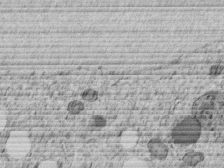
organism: C. elegans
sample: C. elegans embryo early stage